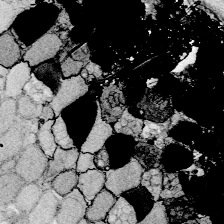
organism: Zebrafish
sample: Whole-Brain